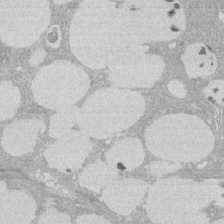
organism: Rat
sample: Salivary granule